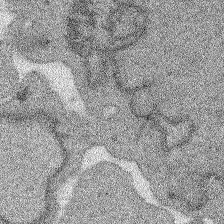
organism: Human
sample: HeLa cells